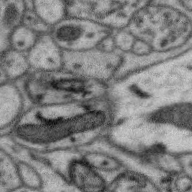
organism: Zebra finch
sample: Brain